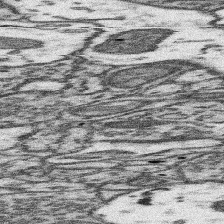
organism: Mouse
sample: Somatosensory cortex neuropil